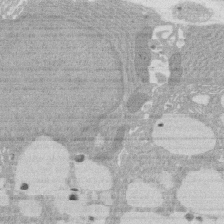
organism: Rat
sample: Salivary granule